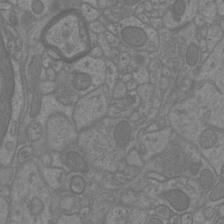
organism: Mouse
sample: Cortical neurons